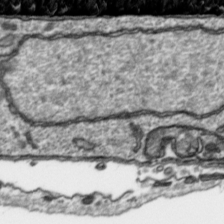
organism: Toxoplasma gondii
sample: Parasites in a vacuole inside a host cell